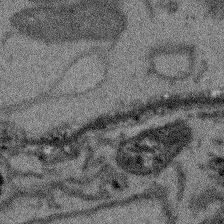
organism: Arabidopsis thaliana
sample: Root tip